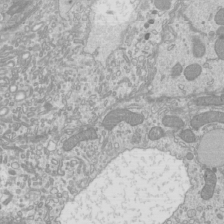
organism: Mouse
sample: Cilia; mouse epididymis